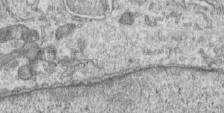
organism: Human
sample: Centriole in RPE cells